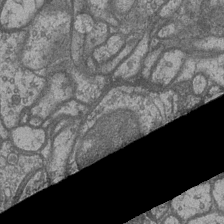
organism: Drosophila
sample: Optic medulla